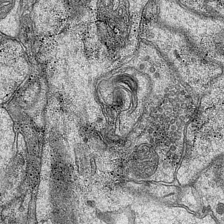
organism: Mouse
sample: CA1 Hippocampus